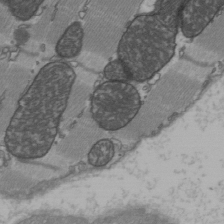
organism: C57BL Mouse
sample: Heart